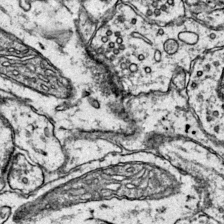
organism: Mouse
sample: Primary visual cortex